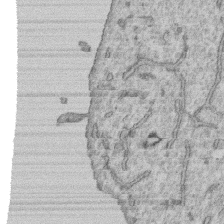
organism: Human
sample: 1205lu cells